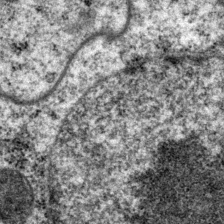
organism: P. pacificus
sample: Pharynx